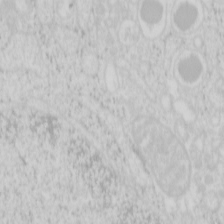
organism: Mouse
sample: Pancreas